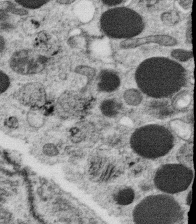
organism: C. elegans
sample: C. elegans oocyte; sperm cells